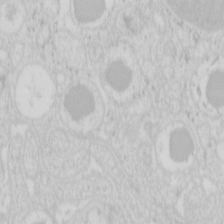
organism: Mouse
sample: Pancreas